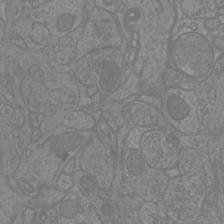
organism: Mouse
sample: Cortical neurons